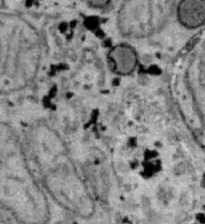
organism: Mouse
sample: Liver from an obese (ob/ob) mouse